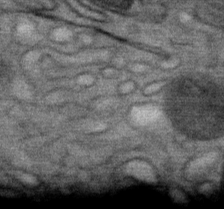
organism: Mouse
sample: Mouse Salivary gland